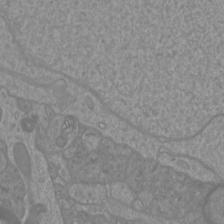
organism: Mouse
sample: Cortical neurons